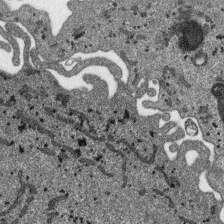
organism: Human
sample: Lung epithelial cells infected with SARS-CoV-2